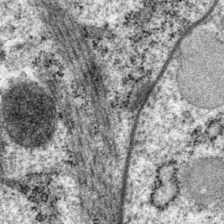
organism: P. pacificus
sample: Pharynx